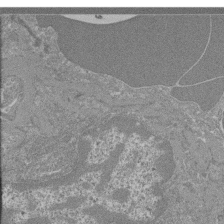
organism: Mouse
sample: Glomerulus